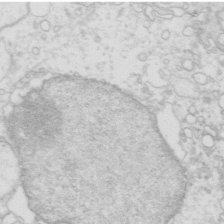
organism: Mouse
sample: Multiciliated cells